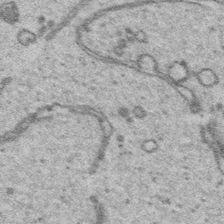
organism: Platynereis dumerilii